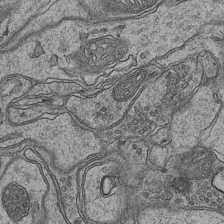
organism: Mouse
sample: CA1 Hippocampus